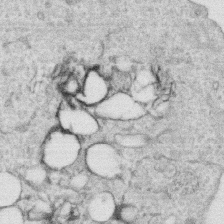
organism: Human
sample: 1205lu cells